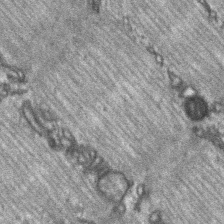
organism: C57BL Mouse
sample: Soleus